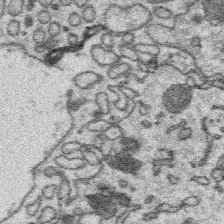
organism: Platynereis dumerilii